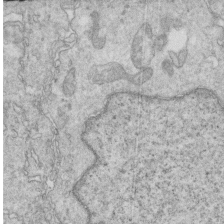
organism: Mouse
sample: Multiciliated cells